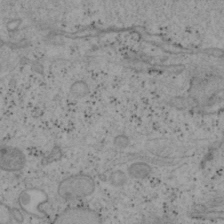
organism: Human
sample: HeLa cells